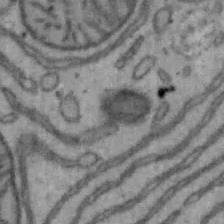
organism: Mouse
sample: Liver